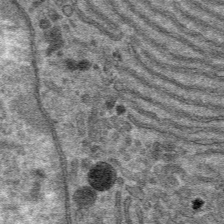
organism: Mouse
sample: Mouse hepatocytes